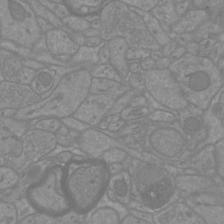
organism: Mouse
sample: Cortical neurons